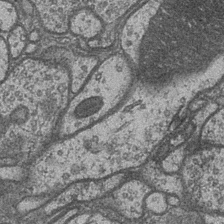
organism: Drosophila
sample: Optic medulla